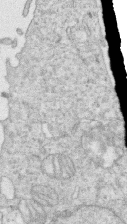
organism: Human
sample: HeLa cell HIV synapse